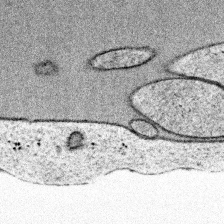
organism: Human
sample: HeLa cells